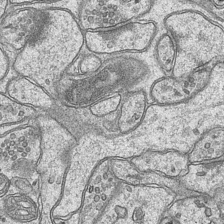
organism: Mouse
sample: CA1 Hippocampus